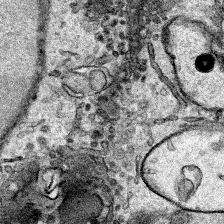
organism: Human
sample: Mitochondria in HCT116 cells